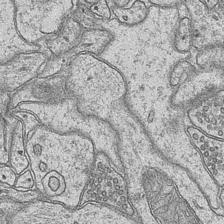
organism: Mouse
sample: CA1 Hippocampus